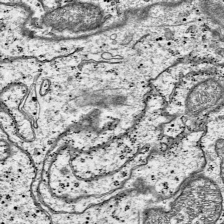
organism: Mouse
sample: Visual Cortex